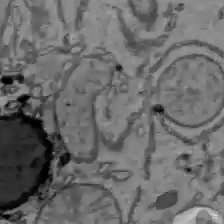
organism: C57BL Mouse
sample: Liver